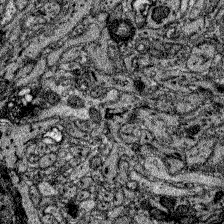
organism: Zebrafish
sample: Larval olfactory bulb